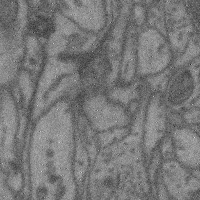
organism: Mouse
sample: Cerebral cortex